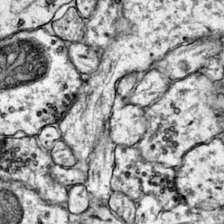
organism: Mouse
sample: Primary visual cortex